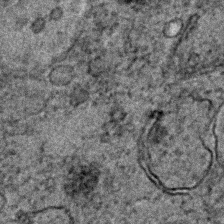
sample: Trachea